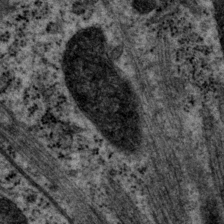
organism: P. pacificus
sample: Pharynx